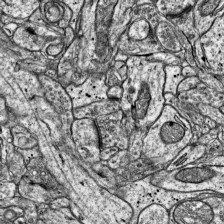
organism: Mouse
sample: Visual Cortex